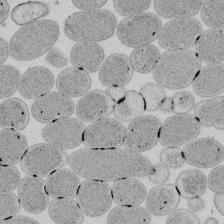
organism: E. coli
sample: Bacterial nucleoid